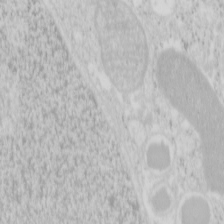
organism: Mouse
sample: Pancreas